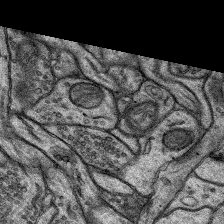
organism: Rat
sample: Hippocampus